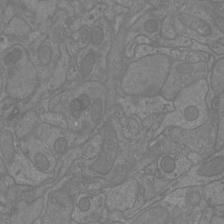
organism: Mouse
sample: Cortical neurons